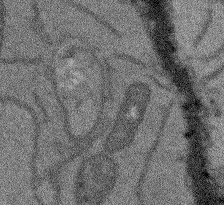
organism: Arabidopsis thaliana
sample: Root tip